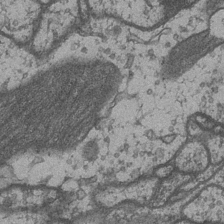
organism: Drosophila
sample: Optic medulla